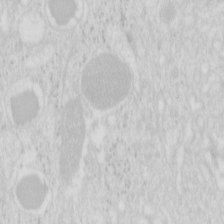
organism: Mouse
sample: Pancreas